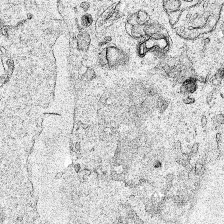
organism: Human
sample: Mitochondria in HCT116 cells